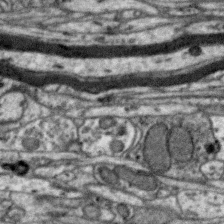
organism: Zebra finch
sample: Brain